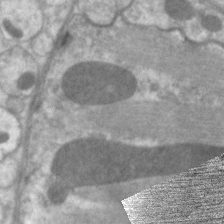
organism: C. elegans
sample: Pharynx